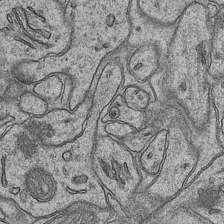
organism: Mouse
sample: CA1 Hippocampus